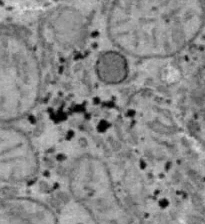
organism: Mouse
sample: Liver from an obese (ob/ob) mouse